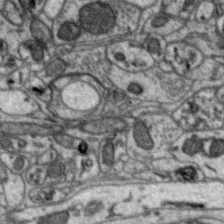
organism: Zebra finch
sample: Brain